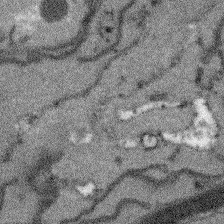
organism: Arabidopsis thaliana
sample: Root tip